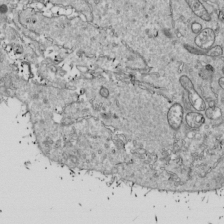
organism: Drosophila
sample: Cell division; meiosis; drosophila spermatocytes